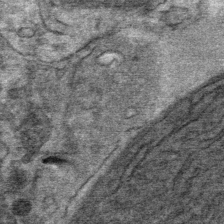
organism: Mouse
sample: Mouse Salivary gland